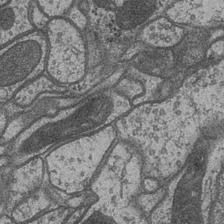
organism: Drosophila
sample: Optic medulla